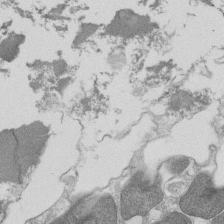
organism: Tetrahymena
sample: Cilia in tetrahymena